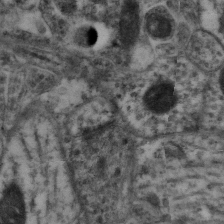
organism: Mouse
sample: Neocortex